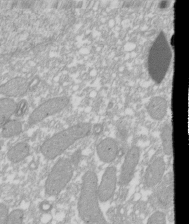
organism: Xenopus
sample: Cilia; centrioles in frog embryo cells